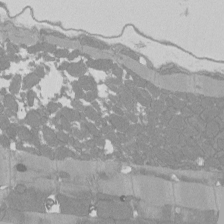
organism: Rat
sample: Left ventricle